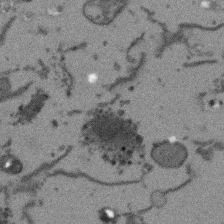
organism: Arabidopsis thaliana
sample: Root tip